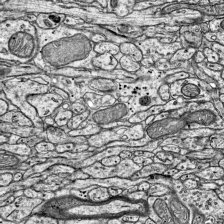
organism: Mouse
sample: Visual Cortex